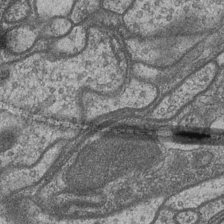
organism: Drosophila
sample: Optic medulla